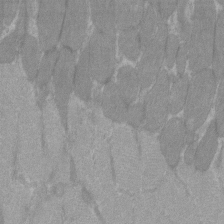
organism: C57BL Mouse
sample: Tibialis anterior muscle cell